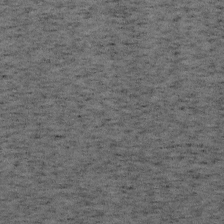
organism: Mouse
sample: OT-I killer T cells with ID8 ovarian cancer cells